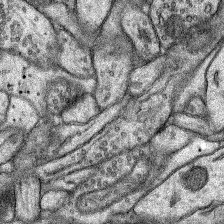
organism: Rat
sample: Hippocampus